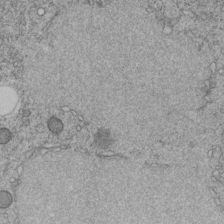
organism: C. elegans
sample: C. elegans embryo early stage